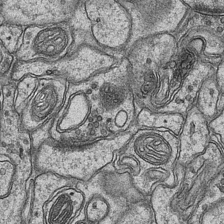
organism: Mouse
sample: CA1 Hippocampus